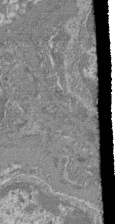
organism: Mouse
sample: Glomerulus